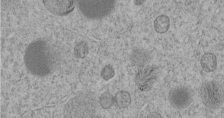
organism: C. elegans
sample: C. elegans embryo early stage